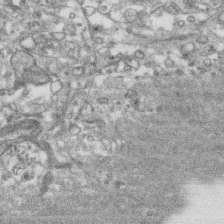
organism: Human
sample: CRL-1474